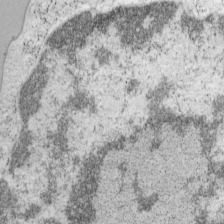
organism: Mouse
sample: OT-I killer T cells with ID8 ovarian cancer cells